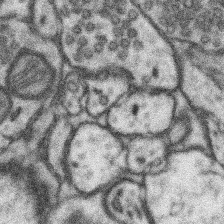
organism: Mouse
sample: Somatosensory cortex neuropil